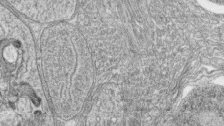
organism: Zebrafish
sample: synaptic ribbons in rod cells and cone cells